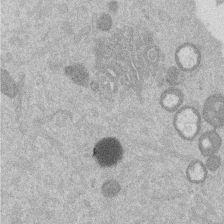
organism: Mouse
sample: Dividing mouse embryo 1 cell stage